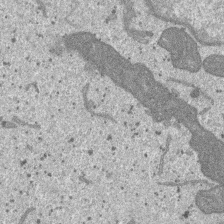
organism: Human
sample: Lung epithelial cells infected with SARS-CoV-2